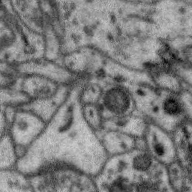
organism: Zebra finch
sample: Brain